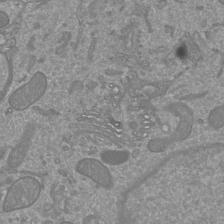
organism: Mouse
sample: Cortical neurons